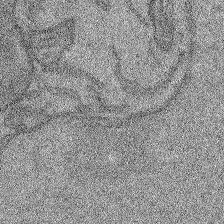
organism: Human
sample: HeLa cells